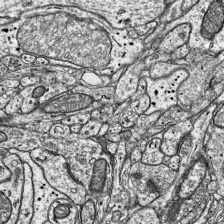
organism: Mouse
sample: Visual Cortex